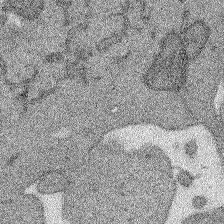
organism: Human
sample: HeLa cells